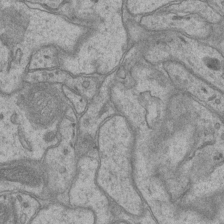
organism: Mouse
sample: CA1 Hippocampus